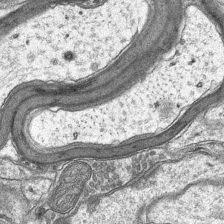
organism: Mouse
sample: CA1 Hippocampus